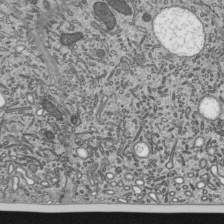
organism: Mouse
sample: Mouse epididymis efferent ductule cilia